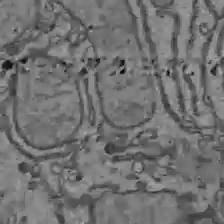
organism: C57BL Mouse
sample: Liver